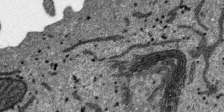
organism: Human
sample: Lung epithelial cells, uninfected (mock) control